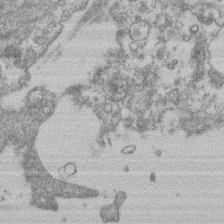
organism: Mouse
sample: T cell stromal cell synapse